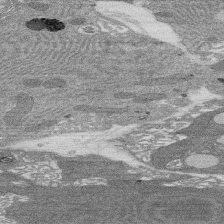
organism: Rat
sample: Salivary granule